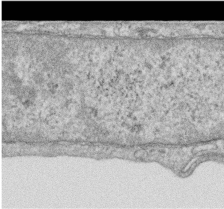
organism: Human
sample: Centriole in RPE cells